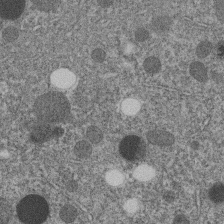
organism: C. elegans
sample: C. elegans embryo early stage